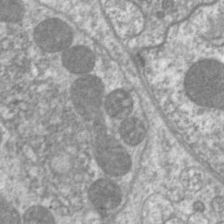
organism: C. elegans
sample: Pharynx